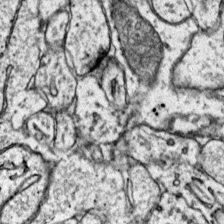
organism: Mouse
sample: Primary visual cortex